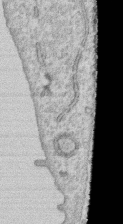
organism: Human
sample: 1205lu cells